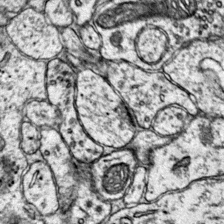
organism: Mouse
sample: Primary visual cortex